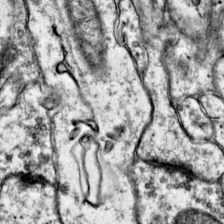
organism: Mouse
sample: Primary visual cortex